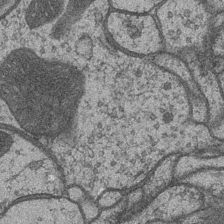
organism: Drosophila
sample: Optic medulla